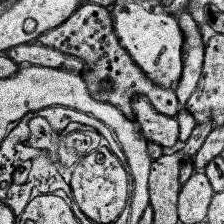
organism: Human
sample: Temporal Lobe